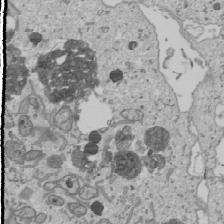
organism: Human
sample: Mitochondria in U2OS cells